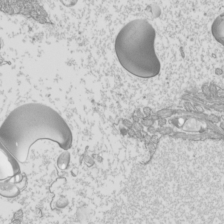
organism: Mouse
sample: Cilia; mouse epididymis